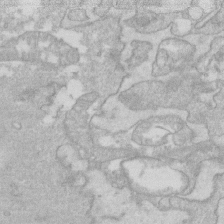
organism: Human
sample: Fibroblast cells